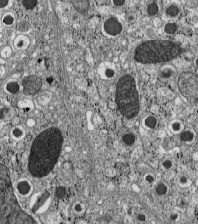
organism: C57BL Mouse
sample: Pancreatic islet